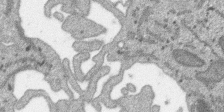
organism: Human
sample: Lung epithelial cells infected with SARS-CoV-2